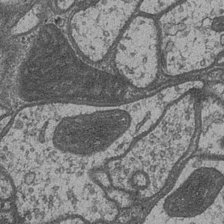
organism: Drosophila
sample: Optic medulla